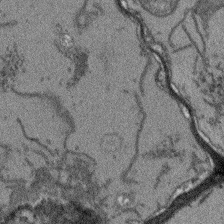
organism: Arabidopsis thaliana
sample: Root tip